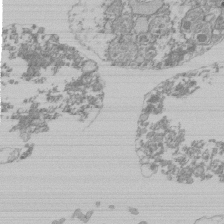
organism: Mouse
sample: Activated Pmel transgenic CD8+ T Cells